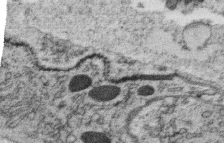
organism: C. elegans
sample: C. elegans oocyte; sperm cells